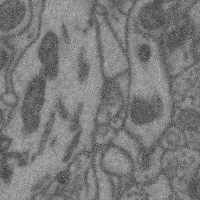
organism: Mouse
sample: Cerebral cortex